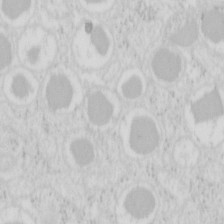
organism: Mouse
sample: Pancreas